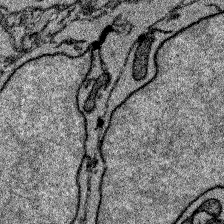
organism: Zebrafish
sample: Larval olfactory bulb